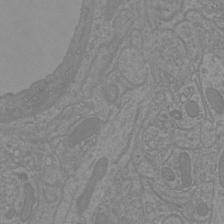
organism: Mouse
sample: Cortical neurons